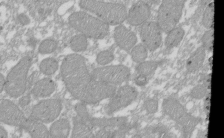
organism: Xenopus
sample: Cilia; centrioles in frog embryo cells